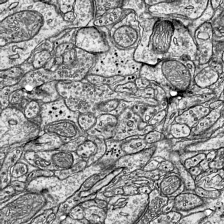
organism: Mouse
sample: Visual Cortex